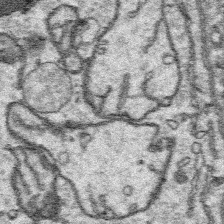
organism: Platynereis dumerilii